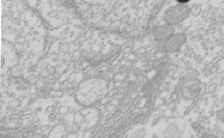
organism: Xenopus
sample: Cilia; centrioles in frog embryo cells